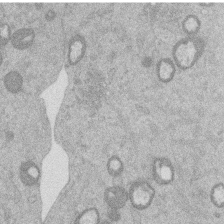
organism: Mouse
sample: Dividing mouse embryo 1 cell stage